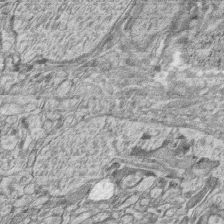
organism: Zebrafish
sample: synaptic ribbons in rod cells and cone cells